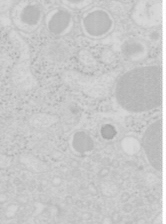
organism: Mouse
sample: Pancreas